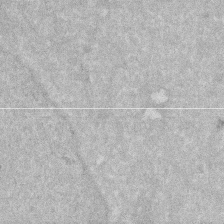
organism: Human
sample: HIV infected U937 cells